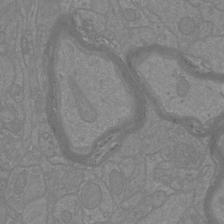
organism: Mouse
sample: Cortical neurons